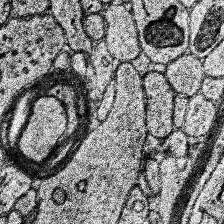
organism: Human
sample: Temporal Lobe